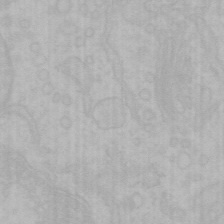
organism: Mouse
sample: Choroid plexus